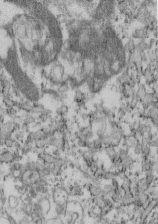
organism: Mouse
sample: Cilia; retinal pigment epithelium